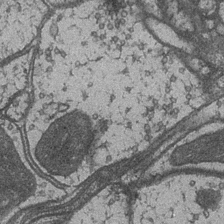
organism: Drosophila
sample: Optic medulla